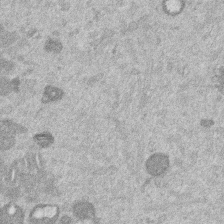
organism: Mouse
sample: Dividing mouse embryo 1 cell stage